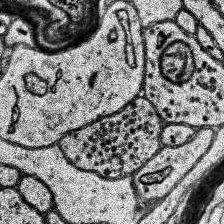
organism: Human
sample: Temporal Lobe